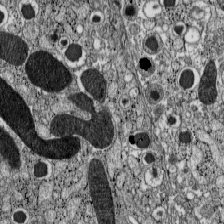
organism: C57BL Mouse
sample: Pancreatic islet